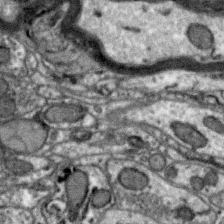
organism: Zebra finch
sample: Brain